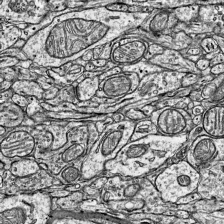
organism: Mouse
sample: Visual Cortex